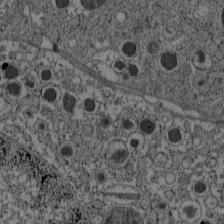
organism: C57BL Mouse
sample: Pancreatic islet